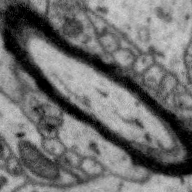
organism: Zebra finch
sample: Brain